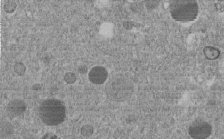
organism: C. elegans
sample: C. elegans embryo early stage